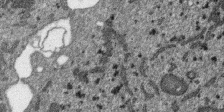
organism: Human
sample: Lung epithelial cells infected with SARS-CoV-2